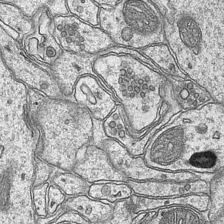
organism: Mouse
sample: CA1 Hippocampus